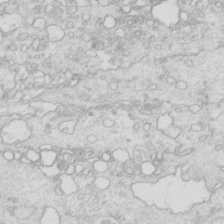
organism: Mouse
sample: Multiciliated cells